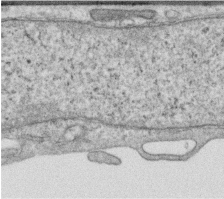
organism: Human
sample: Centriole in RPE cells